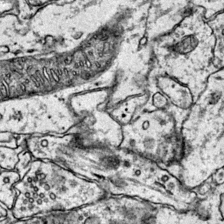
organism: Mouse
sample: Primary visual cortex